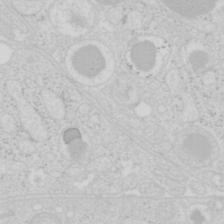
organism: Mouse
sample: Pancreas